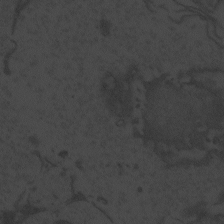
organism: Zebrafish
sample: Macrophage infected with Toxoplasma gondii